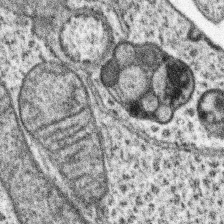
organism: Human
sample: HeLa cells